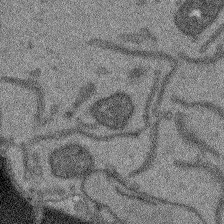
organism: Arabidopsis thaliana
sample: Root tip